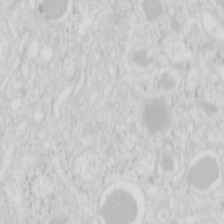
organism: Mouse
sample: Pancreas